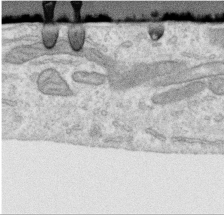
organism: Human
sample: Centriole in RPE cells